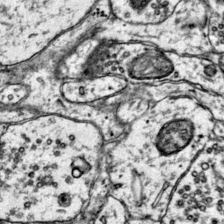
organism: Mouse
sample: Primary visual cortex